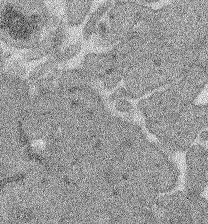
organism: Human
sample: HeLa cells